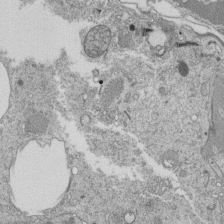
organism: Tetrahymena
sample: Cilia in tetrahymena